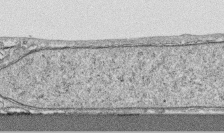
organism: Human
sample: CRL-1474